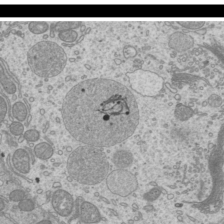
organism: Mouse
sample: Cilia; mouse epididymis